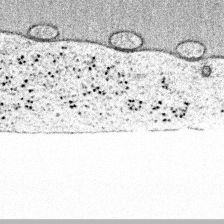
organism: Human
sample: HeLa cells